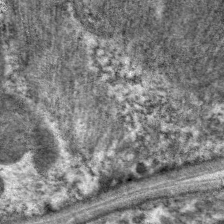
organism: C. elegans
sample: Pharynx